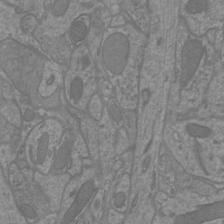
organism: Mouse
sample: Cortical neurons